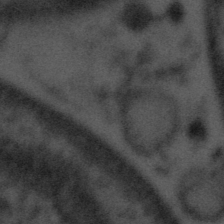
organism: Tuwongella immobilis